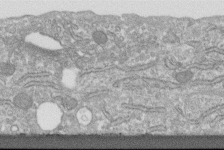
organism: Human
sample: Centriole in fibroblast cells